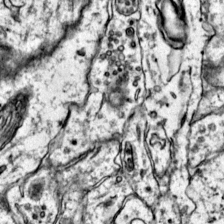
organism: Mouse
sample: Primary visual cortex